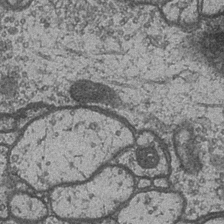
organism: Drosophila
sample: Optic medulla